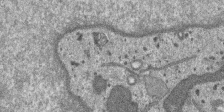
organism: Human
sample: Lung epithelial cells infected with SARS-CoV-2